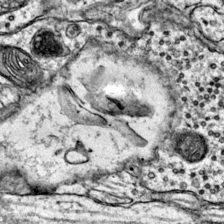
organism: Mouse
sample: Primary visual cortex